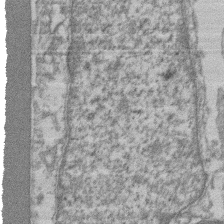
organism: Mouse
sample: T cell stromal cell synapse